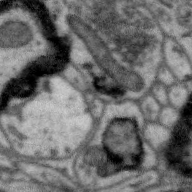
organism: Zebra finch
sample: Brain